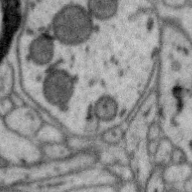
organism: Zebra finch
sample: Brain